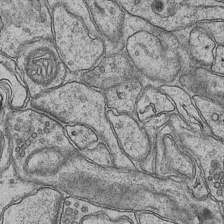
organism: Mouse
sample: CA1 Hippocampus